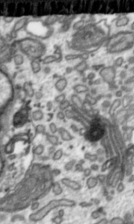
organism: Toxoplasma gondii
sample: Parasites in a vacuole inside a host cell